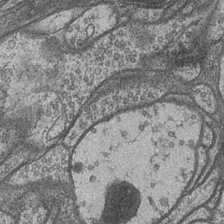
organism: Drosophila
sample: Optic medulla